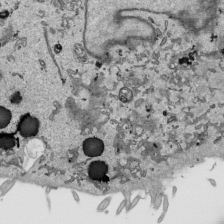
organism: Human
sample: Mitochondria in HCT116 cells